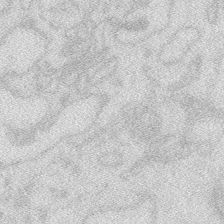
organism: Zebrafish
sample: Macrophage